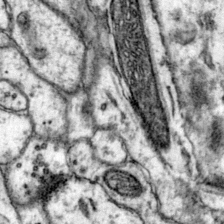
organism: Mouse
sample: Primary visual cortex